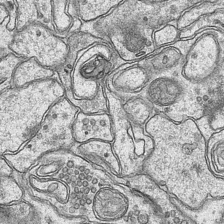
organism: Mouse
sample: CA1 Hippocampus